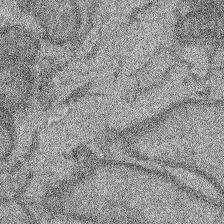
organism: Human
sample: HeLa cells